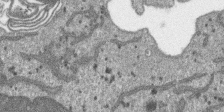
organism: Human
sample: Lung epithelial cells infected with SARS-CoV-2